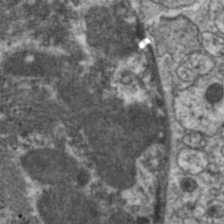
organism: C. elegans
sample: Pharynx